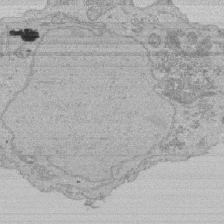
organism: Human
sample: Activated Jurkat CD4+ T cells